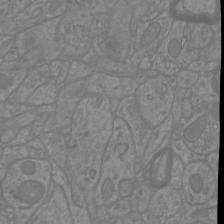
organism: Mouse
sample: Cortical neurons